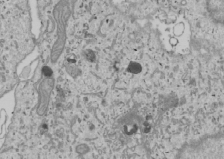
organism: Human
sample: Mitochondria in U2OS cells